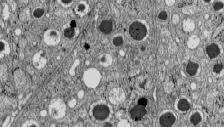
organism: C57BL Mouse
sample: Pancreatic islet